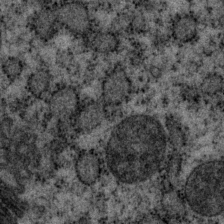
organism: P. pacificus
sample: Pharynx